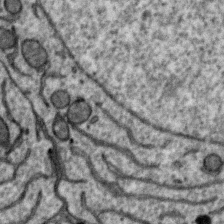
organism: Zebra finch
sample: Brain